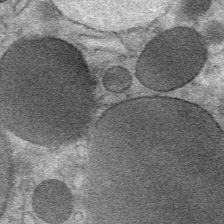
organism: Mouse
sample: Mouse Salivary gland